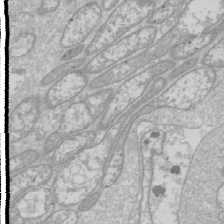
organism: Drosophila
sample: Cell division; meiosis; drosophila spermatocytes